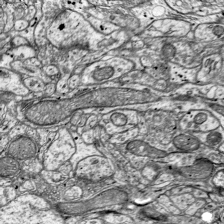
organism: Mouse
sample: Visual Cortex